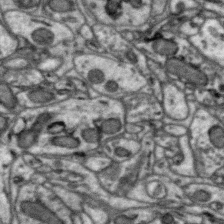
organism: Zebra finch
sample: Brain